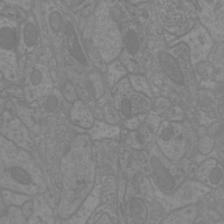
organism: Mouse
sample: Cortical neurons